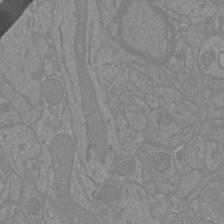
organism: Mouse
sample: Cortical neurons